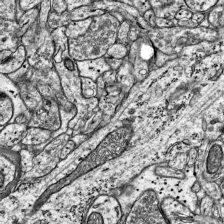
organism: Mouse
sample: Visual Cortex